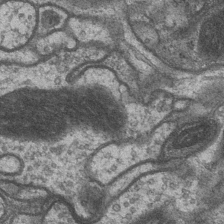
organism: Drosophila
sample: Optic medulla